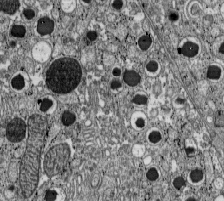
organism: C57BL Mouse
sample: Pancreatic islet